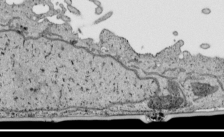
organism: Human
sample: Mitochondria in HCT116 cells